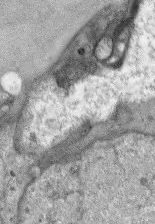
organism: Mouse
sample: Corneal nerves